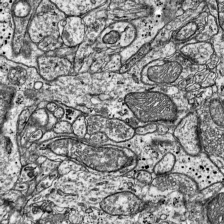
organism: Mouse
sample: Visual Cortex